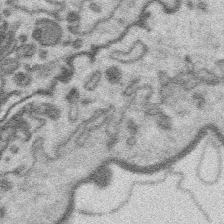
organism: Platynereis dumerilii